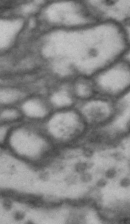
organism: Drosophila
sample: Brain